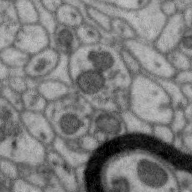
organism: Zebra finch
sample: Brain